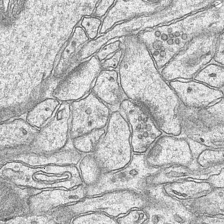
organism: Mouse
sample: CA1 Hippocampus